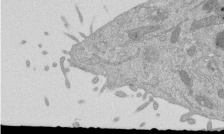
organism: Mouse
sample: ED-1 cell nuclei; centrioles